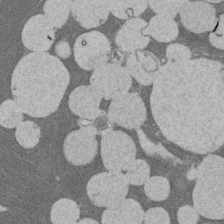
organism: Rat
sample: Salivary granule